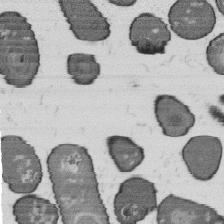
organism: B. subtilis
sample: Bacterial spore